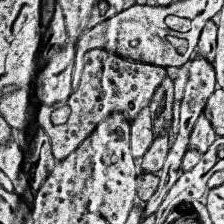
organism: Human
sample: Temporal Lobe